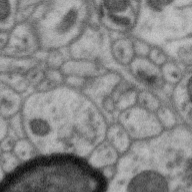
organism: Zebra finch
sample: Brain